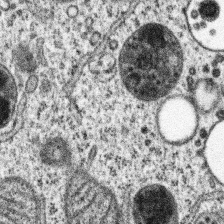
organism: Human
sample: HeLa cells